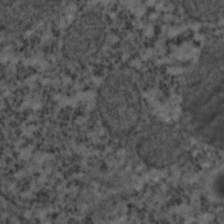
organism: C. elegans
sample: C. elegans embryo